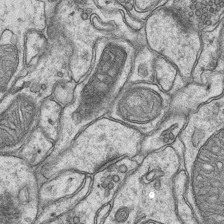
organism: Mouse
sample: CA1 Hippocampus